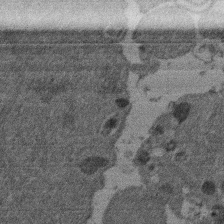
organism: Mouse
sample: Dividing mouse embryo 1 cell stage